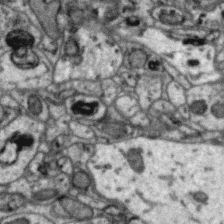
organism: Zebra finch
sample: Brain